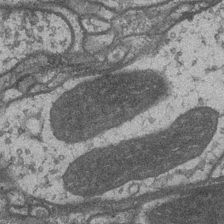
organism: Drosophila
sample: Optic medulla